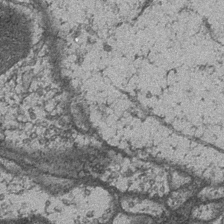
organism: Drosophila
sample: Optic medulla